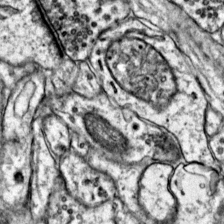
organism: Mouse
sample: Primary visual cortex